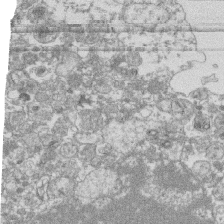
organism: Human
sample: HeLa cell HIV synapse